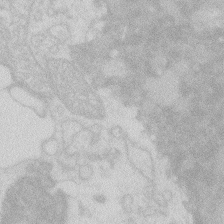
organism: Zebrafish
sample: Macrophage